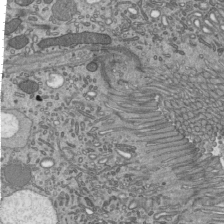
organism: Mouse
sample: Mouse epididymis efferent ductule cilia